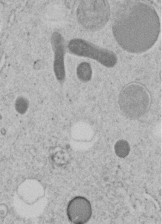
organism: C. elegans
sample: C. elegans embryo early stage